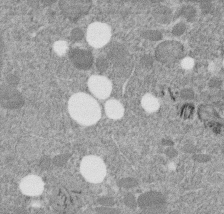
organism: C. elegans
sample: C. elegans embryo early stage